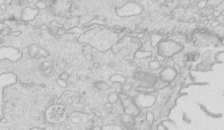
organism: Mouse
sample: Multiciliated cells